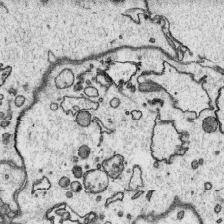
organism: Platynereis dumerilii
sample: Parapodia